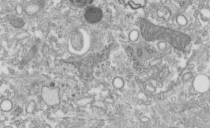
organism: Human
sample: Centriole in fibroblast cells